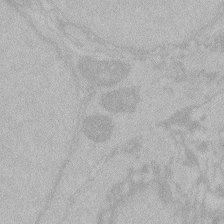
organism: Zebrafish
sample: Macrophage infected with Toxoplasma gondii